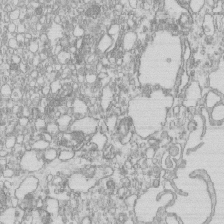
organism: Mouse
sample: Macrophages